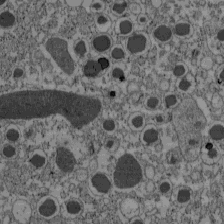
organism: C57BL Mouse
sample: Pancreatic islet